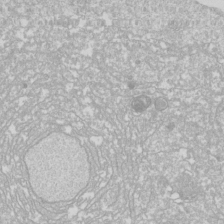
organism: Drosophila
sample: Cell division; meiosis; drosophila spermatocytes